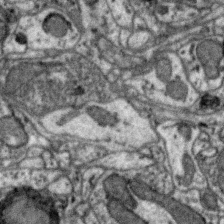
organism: Zebra finch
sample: Brain